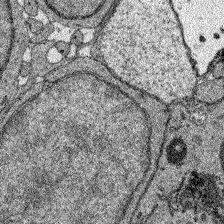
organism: Zebrafish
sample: Larval olfactory bulb